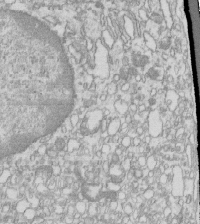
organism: Mouse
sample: Macrophages